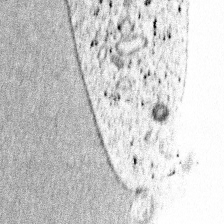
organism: Human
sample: HeLa cells